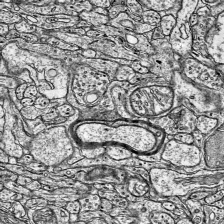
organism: Mouse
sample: Visual Cortex